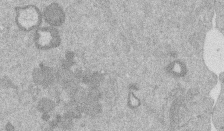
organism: Mouse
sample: Dividing mouse embryo 1 cell stage